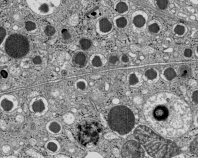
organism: C57BL Mouse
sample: Pancreatic islet